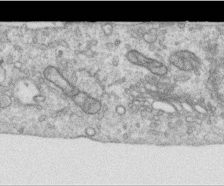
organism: Human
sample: Centriole in RPE cells